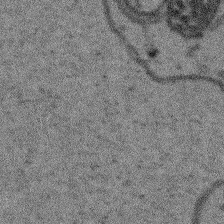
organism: Arabidopsis thaliana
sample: Root tip